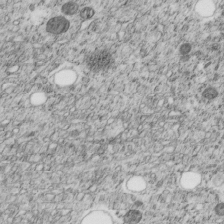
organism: C. elegans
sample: C. elegans embryo early stage